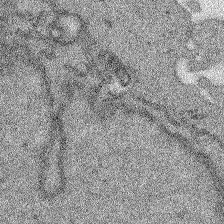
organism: Human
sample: HeLa cells